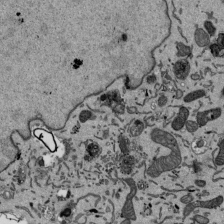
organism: Mouse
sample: ED-1 cell nuclei; centrioles